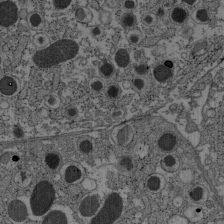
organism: C57BL Mouse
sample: Pancreatic islet